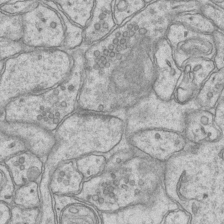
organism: Mouse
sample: CA1 Hippocampus